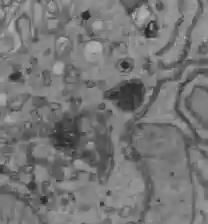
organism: C57BL Mouse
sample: Liver